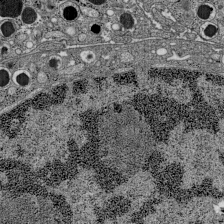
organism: C57BL Mouse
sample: Pancreatic islet